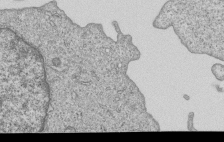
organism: Human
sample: MDA-MB-231 cells